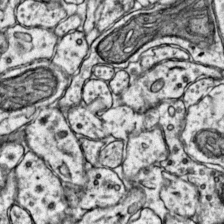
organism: Mouse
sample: Primary visual cortex